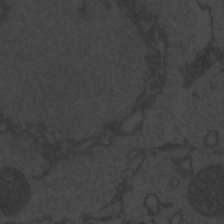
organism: Zebrafish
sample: Macrophage infected with Toxoplasma gondii